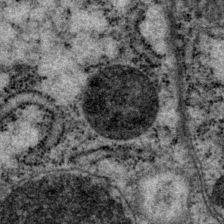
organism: P. pacificus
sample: Pharynx